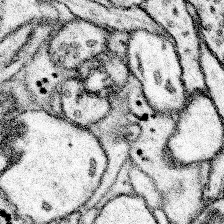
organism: Mouse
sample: Somatosensory cortex neuropil